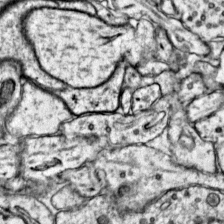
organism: Mouse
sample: Primary visual cortex